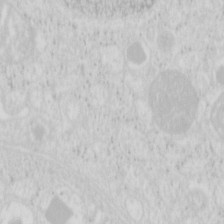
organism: Mouse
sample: Pancreas